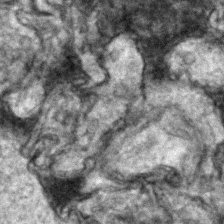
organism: Zebrafish